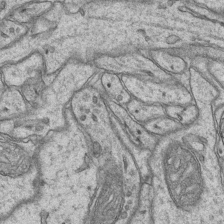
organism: Mouse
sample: CA1 Hippocampus